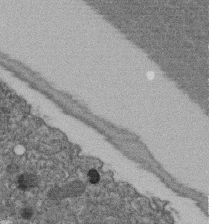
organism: C. elegans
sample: C. elegans embryo early stage